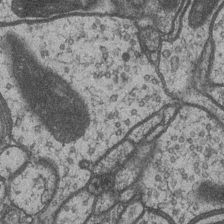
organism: Drosophila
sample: Optic medulla